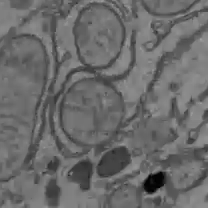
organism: C57BL Mouse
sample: Liver